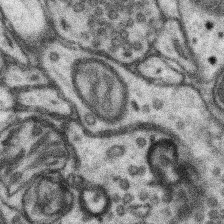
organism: Mouse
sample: Somatosensory cortex neuropil